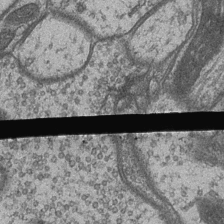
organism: Drosophila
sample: Optic medulla